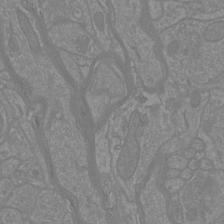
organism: Mouse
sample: Cortical neurons